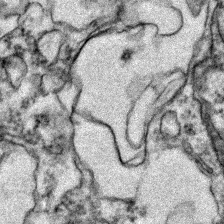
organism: Zebrafish